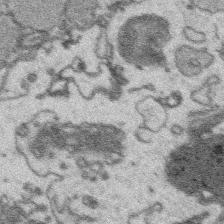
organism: Platynereis dumerilii